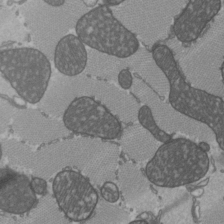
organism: C57BL Mouse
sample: Heart